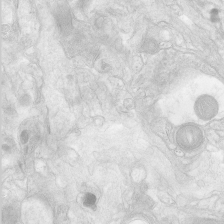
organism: Human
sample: Neocortex